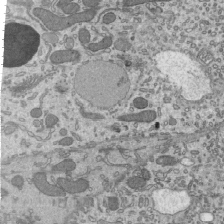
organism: Mouse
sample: Mouse epididymis efferent ductule cilia